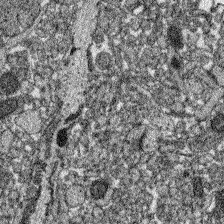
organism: Zebrafish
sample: Larval olfactory bulb